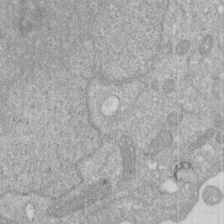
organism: Human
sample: HIV infected U937 cells